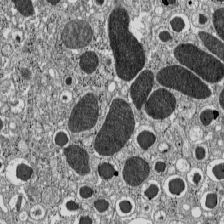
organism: C57BL Mouse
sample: Pancreatic islet